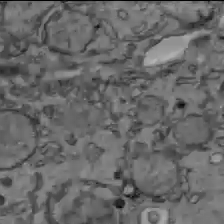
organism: C57BL Mouse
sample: Liver